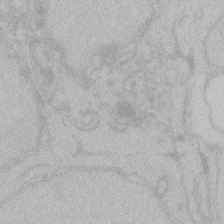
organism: Zebrafish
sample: Macrophage infected with Toxoplasma gondii